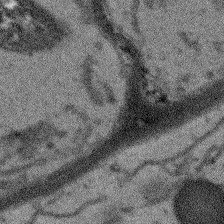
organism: Arabidopsis thaliana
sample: Root tip